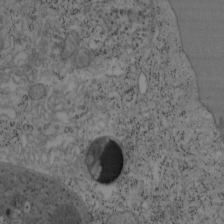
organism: Mouse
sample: OT-I killer T cells with ID8 ovarian cancer cells